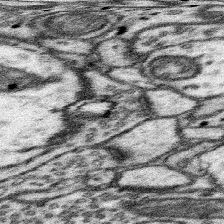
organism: Mouse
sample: Somatosensory cortex neuropil